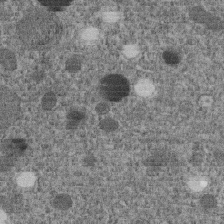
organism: C. elegans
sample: C. elegans embryo early stage